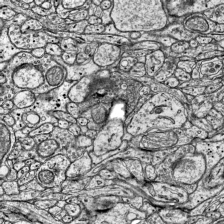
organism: Mouse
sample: Visual Cortex